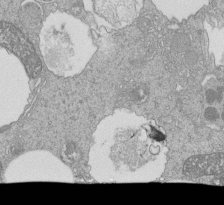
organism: Tetrahymena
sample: Cilia in tetrahymena